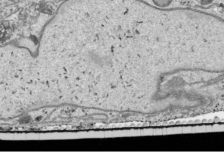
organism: Human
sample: Mitochondria in HCT116 cells